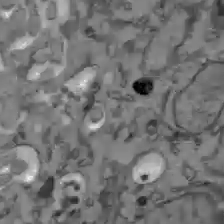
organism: C57BL Mouse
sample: Liver